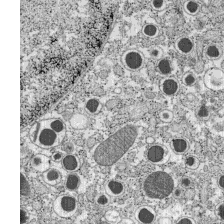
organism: C57BL Mouse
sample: Pancreatic islet